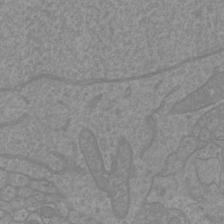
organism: Mouse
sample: Cortical neurons